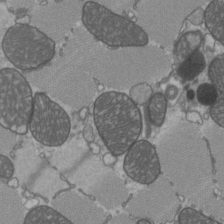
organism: C57BL Mouse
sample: Heart